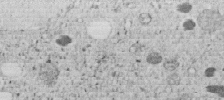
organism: C. elegans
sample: C. elegans embryo early stage